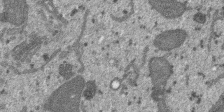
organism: Human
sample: Lung epithelial cells infected with SARS-CoV-2